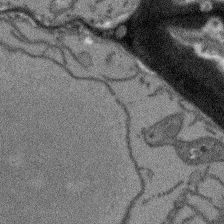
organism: Arabidopsis thaliana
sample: Root tip